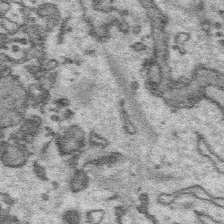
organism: Platynereis dumerilii